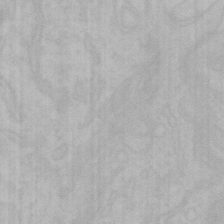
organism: Mouse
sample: Choroid plexus